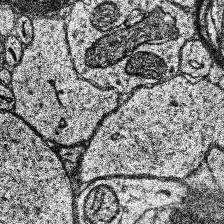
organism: Human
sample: Temporal Lobe